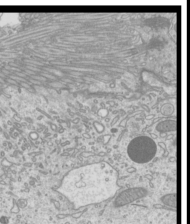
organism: Mouse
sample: Cilia; mouse epididymis